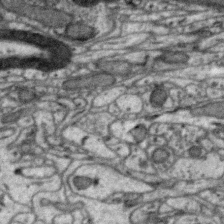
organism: Zebra finch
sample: Brain